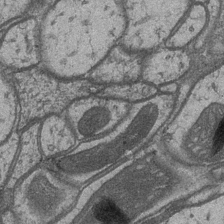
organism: Drosophila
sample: Optic medulla